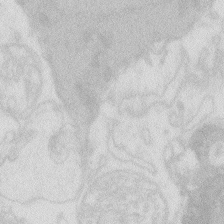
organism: Zebrafish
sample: Macrophage